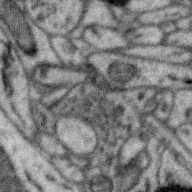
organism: Zebra finch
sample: Brain